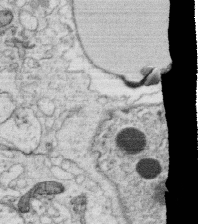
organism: C. elegans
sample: C. elegans oocyte; sperm cells